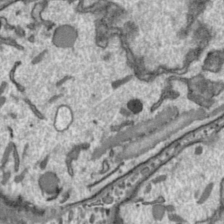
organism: Toxoplasma gondii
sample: Parasites in a vacuole inside a host cell